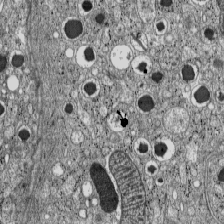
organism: C57BL Mouse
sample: Pancreatic islet